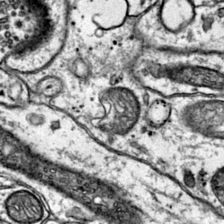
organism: Mouse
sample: Primary visual cortex